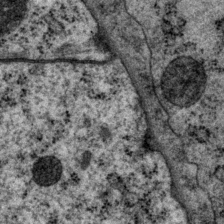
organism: P. pacificus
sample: Pharynx